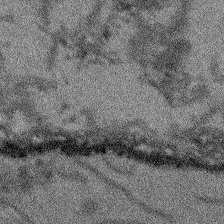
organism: Arabidopsis thaliana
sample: Root tip